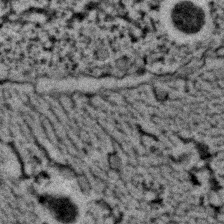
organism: C. elegans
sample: C. elegans embryo